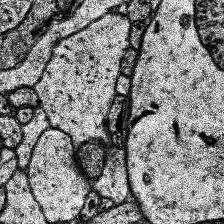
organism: Human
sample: Temporal Lobe